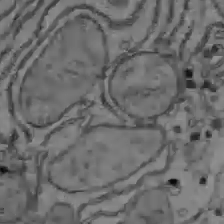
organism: C57BL Mouse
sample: Liver